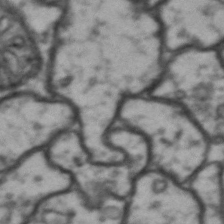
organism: Drosophila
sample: Brain